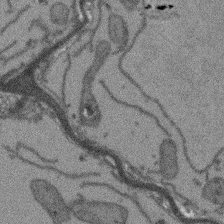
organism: Arabidopsis thaliana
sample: Root tip